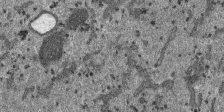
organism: Human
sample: Lung epithelial cells infected with SARS-CoV-2